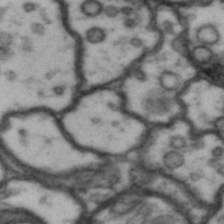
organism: Drosophila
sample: Brain